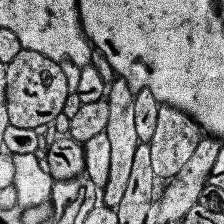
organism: Human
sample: Temporal Lobe